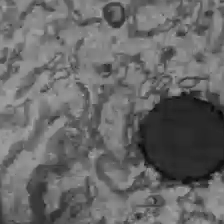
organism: C57BL Mouse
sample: Liver